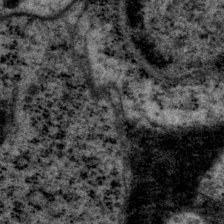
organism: P. pacificus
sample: Pharynx